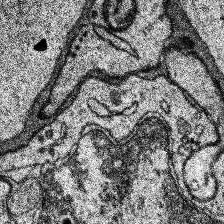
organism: Human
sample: Temporal Lobe